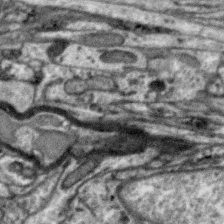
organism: Zebra finch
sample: Brain